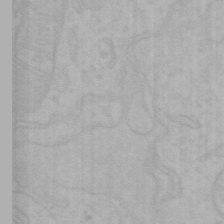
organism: Mouse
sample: Choroid plexus